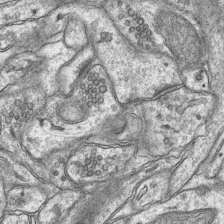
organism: Mouse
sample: CA1 Hippocampus